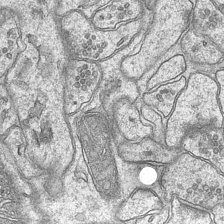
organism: Mouse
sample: CA1 Hippocampus